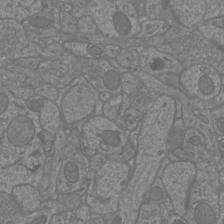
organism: Mouse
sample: Cortical neurons